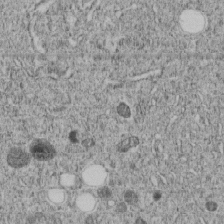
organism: C. elegans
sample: C. elegans embryo early stage